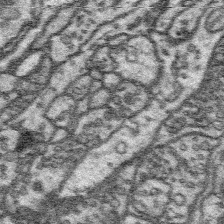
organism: Platynereis dumerilii